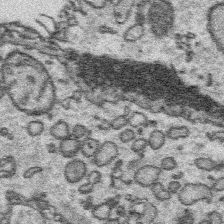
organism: Platynereis dumerilii